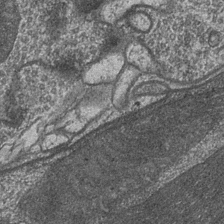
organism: Drosophila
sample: Optic medulla